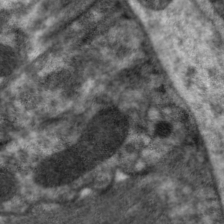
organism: C. elegans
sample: Pharynx